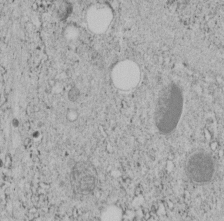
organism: C. elegans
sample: C. elegans embryo early stage